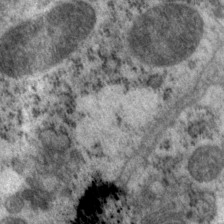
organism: P. pacificus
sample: Pharynx